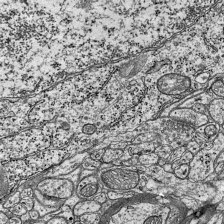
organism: Mouse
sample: Visual Cortex